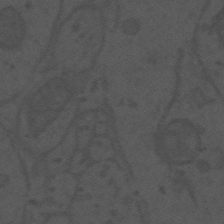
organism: Mouse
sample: Suprachiasmatic nucleus